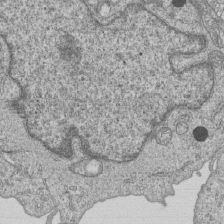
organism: Human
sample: MDA-MB-231 cells